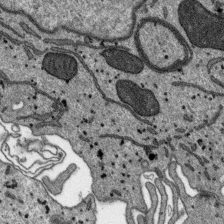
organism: Human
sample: Lung epithelial cells, uninfected (mock) control